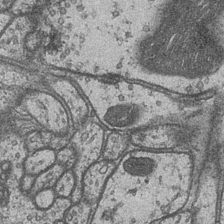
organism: Drosophila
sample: Optic medulla